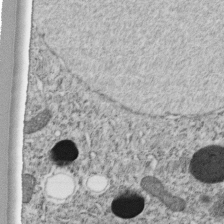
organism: C. elegans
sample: C. elegans embryo early stage